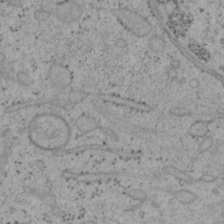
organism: Human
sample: HeLa cells